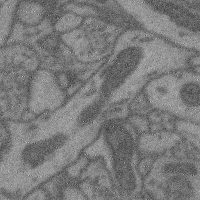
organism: Mouse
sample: Cerebral cortex